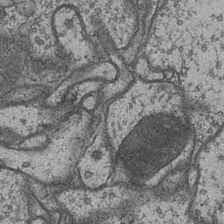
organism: Drosophila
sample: Optic medulla